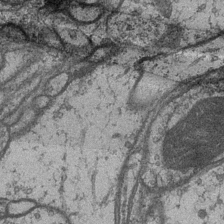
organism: Drosophila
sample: Optic medulla